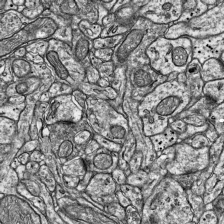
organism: Mouse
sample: Visual Cortex